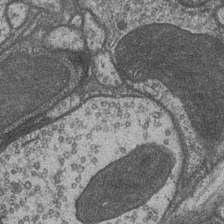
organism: Drosophila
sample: Optic medulla